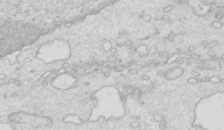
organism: Mouse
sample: Multiciliated cells